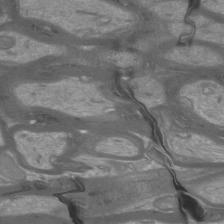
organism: Mouse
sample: Cortical neurons